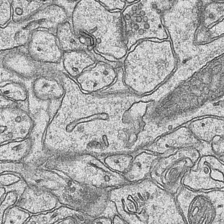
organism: Mouse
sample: CA1 Hippocampus